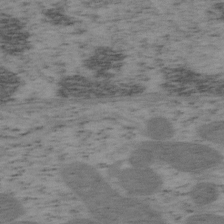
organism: Mouse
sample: OT-I killer T cells with ID8 ovarian cancer cells